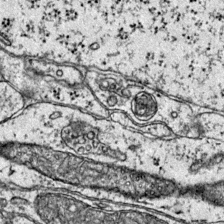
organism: Mouse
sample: Primary visual cortex